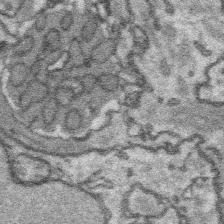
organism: Platynereis dumerilii